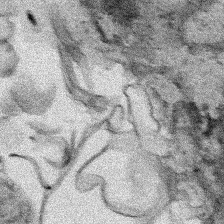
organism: Human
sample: Mitochondria in HCT116 cells